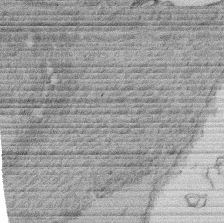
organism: Rat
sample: Salivary granule